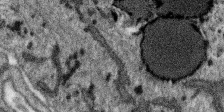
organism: Human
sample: Lung epithelial cells infected with SARS-CoV-2